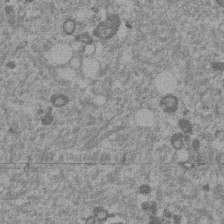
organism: Mouse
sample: Dividing mouse embryo 1 cell stage